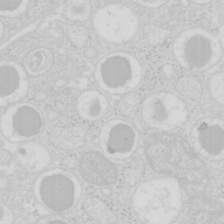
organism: Mouse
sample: Pancreas